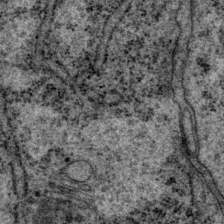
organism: P. pacificus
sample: Pharynx